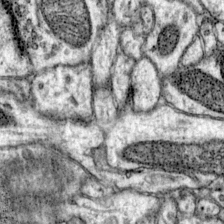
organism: Mouse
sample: Primary visual cortex